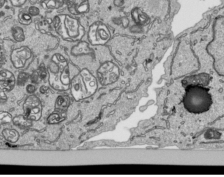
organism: Human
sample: Mitochondria in HCT116 cells